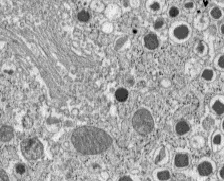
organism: C57BL Mouse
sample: Pancreatic islet